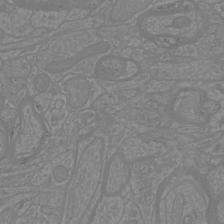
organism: Mouse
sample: Cortical neurons